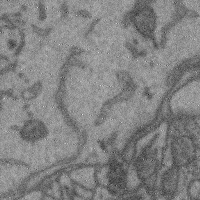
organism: Mouse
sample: Cerebral cortex